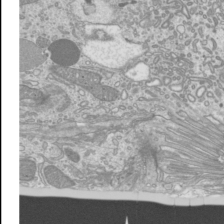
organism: Mouse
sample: Cilia; mouse epididymis